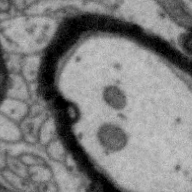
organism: Zebra finch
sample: Brain